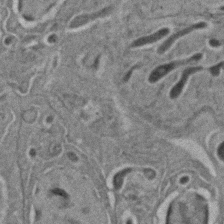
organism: C. elegans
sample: C. elegans embryo